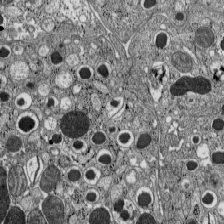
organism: C57BL Mouse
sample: Pancreatic islet